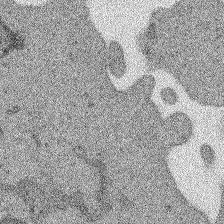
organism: Human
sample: HeLa cells